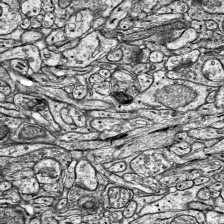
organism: Mouse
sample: Visual Cortex